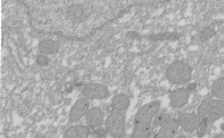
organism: Xenopus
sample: Cilia; centrioles in frog embryo cells